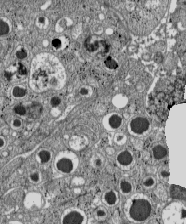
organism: C57BL Mouse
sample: Pancreatic islet